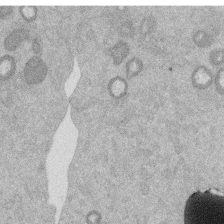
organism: Mouse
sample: Dividing mouse embryo 1 cell stage